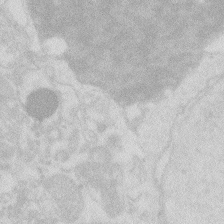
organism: Zebrafish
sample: Macrophage